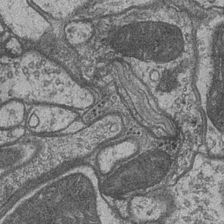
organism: Drosophila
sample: Optic medulla